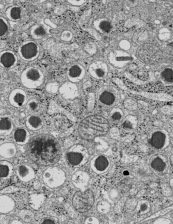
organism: C57BL Mouse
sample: Pancreatic islet